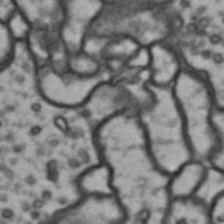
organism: Drosophila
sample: Brain